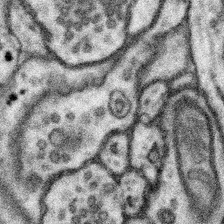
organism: Mouse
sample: Somatosensory cortex neuropil